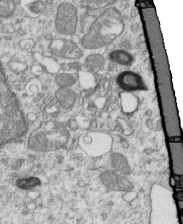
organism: Mouse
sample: Activated OT-1 CD8+ T cells